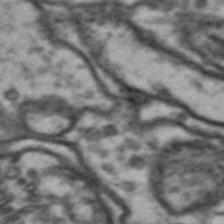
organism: Drosophila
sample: Brain